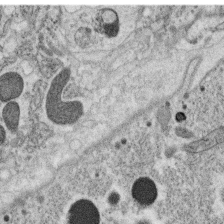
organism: C. elegans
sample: C. elegans oocyte; sperm cells